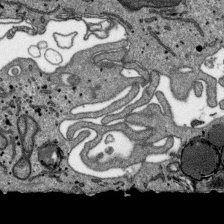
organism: Human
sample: Lung epithelial cells, uninfected (mock) control